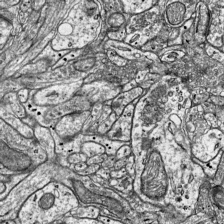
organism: Mouse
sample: Visual Cortex